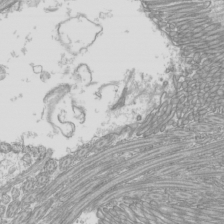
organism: Mouse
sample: Cilia; mouse epididymis